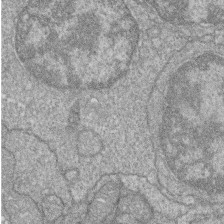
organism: Zebrafish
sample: Cilia; retinal pigment epithelium